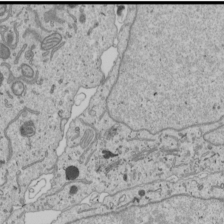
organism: Human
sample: Mitochondria in U2OS cells